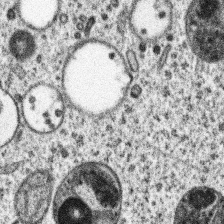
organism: Human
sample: HeLa cells